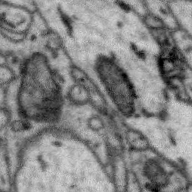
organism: Zebra finch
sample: Brain